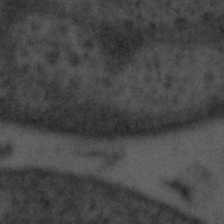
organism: Tuwongella immobilis